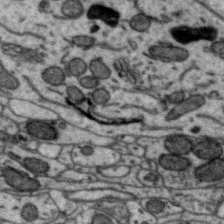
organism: Zebra finch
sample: Brain